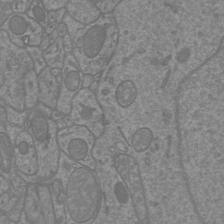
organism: Mouse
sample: Cortical neurons